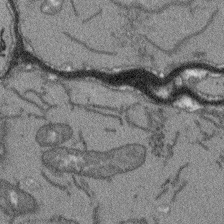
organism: Arabidopsis thaliana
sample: Root tip